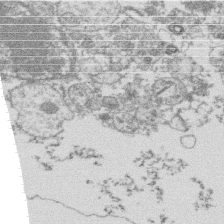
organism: Human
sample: HeLa cell HIV synapse